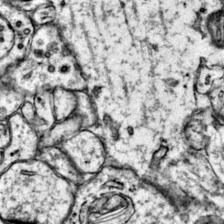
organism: Mouse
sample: Primary visual cortex